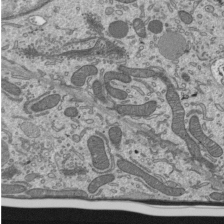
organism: Mouse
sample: Mouse epididymis efferent ductule cilia